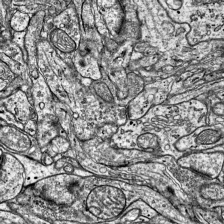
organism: Mouse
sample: Visual Cortex